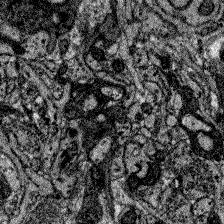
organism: Zebrafish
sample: Larval olfactory bulb